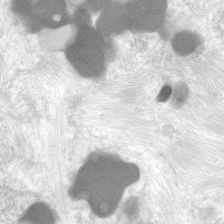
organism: Human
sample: Neocortex